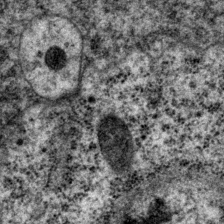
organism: P. pacificus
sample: Pharynx